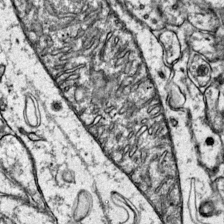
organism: Mouse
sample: Primary visual cortex